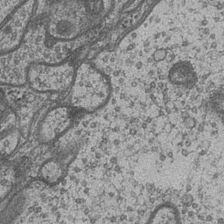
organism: Drosophila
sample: Optic medulla